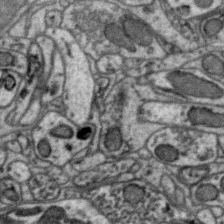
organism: Zebra finch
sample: Brain